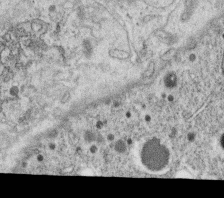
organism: C. elegans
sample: C. elegans oocyte; sperm cells